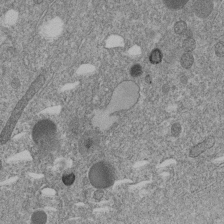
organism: C. elegans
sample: C. elegans embryo early stage